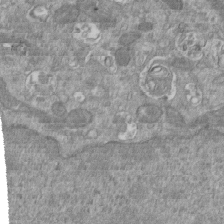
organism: Mouse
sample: ED-1 cell nuclei; centrioles